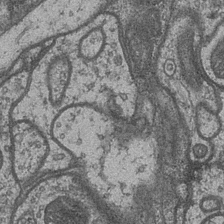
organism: Drosophila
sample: Optic medulla